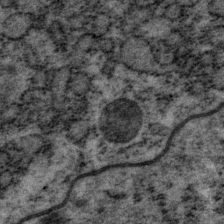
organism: P. pacificus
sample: Pharynx